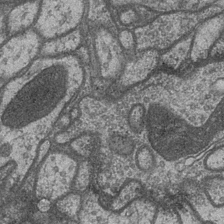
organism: Drosophila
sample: Optic medulla